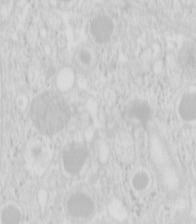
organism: Mouse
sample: Pancreas